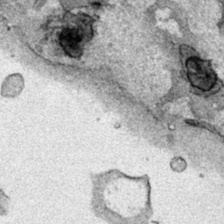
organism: Human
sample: Mitochondria in HCT116 cells